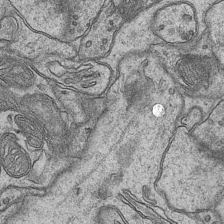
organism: Mouse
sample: CA1 Hippocampus